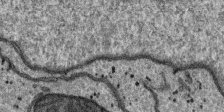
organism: Human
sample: Lung epithelial cells, uninfected (mock) control